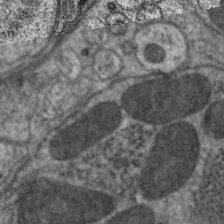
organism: C. elegans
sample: Pharynx